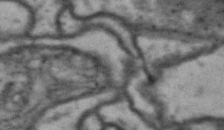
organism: Drosophila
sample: Brain